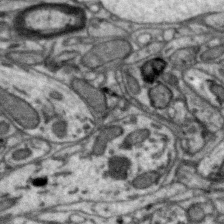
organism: Zebra finch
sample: Brain